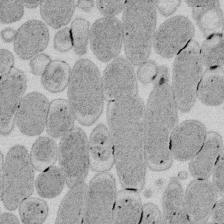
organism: E. coli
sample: Bacterial nucleoid